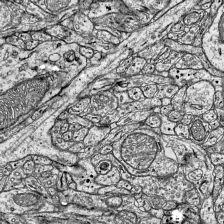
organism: Mouse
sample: Visual Cortex